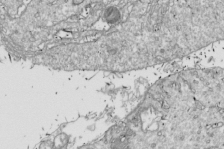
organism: Drosophila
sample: Cell division; meiosis; drosophila spermatocytes